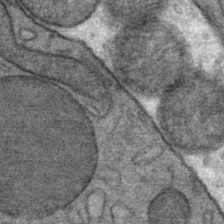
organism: Mouse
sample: Mouse Salivary gland